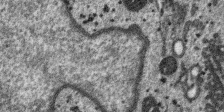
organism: Human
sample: Lung epithelial cells infected with SARS-CoV-2